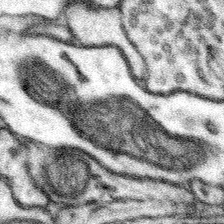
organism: Mouse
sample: Somatosensory cortex neuropil